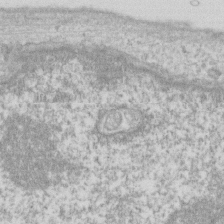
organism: Human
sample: Fibroblast cells